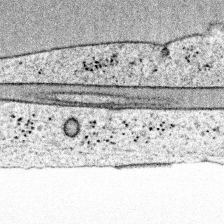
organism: Human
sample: HeLa cells